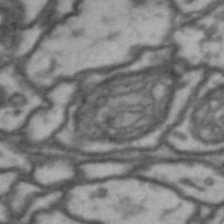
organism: Drosophila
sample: Brain